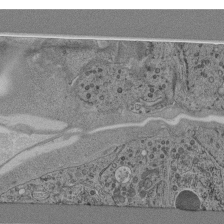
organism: C. elegans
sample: C. elegans pharynx